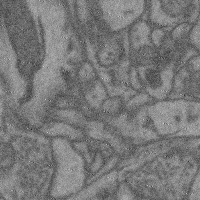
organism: Mouse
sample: Cerebral cortex